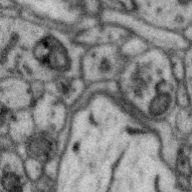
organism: Zebra finch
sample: Brain